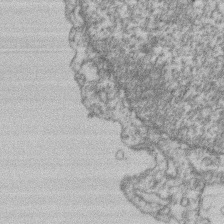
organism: Mouse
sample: T cell stromal cell synapse